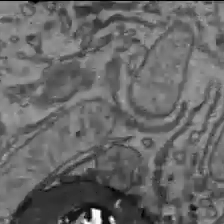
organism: C57BL Mouse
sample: Liver